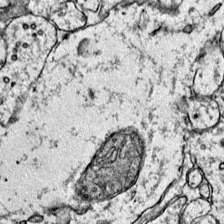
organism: Mouse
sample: Primary visual cortex